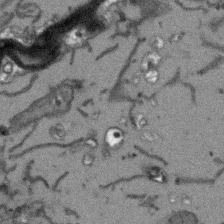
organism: Arabidopsis thaliana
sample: Root tip